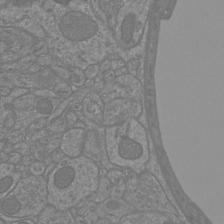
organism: Mouse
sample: Cortical neurons